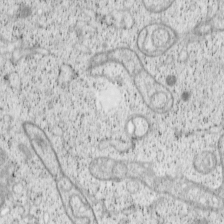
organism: African green monkey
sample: COS-7 cells